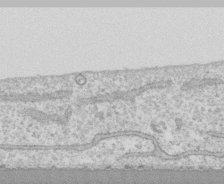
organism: Human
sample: CRL-1474